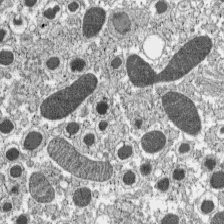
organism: C57BL Mouse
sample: Pancreatic islet